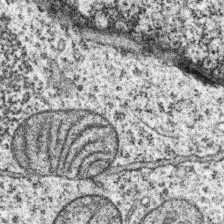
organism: Human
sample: HeLa cells